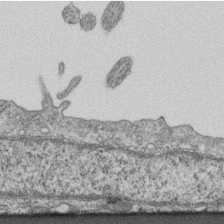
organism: Mouse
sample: Centriole in ependymal cells